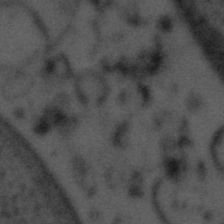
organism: Tuwongella immobilis